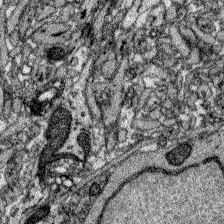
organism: Zebrafish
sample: Larval olfactory bulb